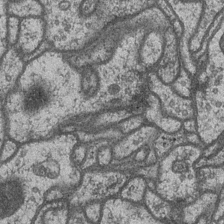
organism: Drosophila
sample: Optic medulla